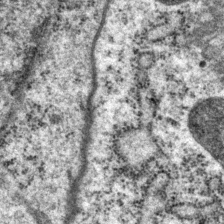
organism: P. pacificus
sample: Pharynx